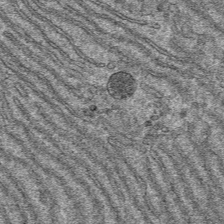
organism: Mouse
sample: Mouse hepatocytes